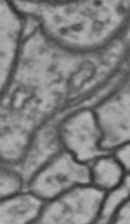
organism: Drosophila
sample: Brain